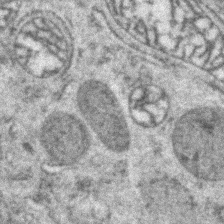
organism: Zebrafish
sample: Zebrafish embryo